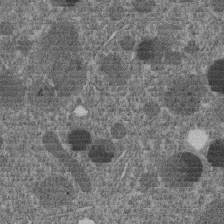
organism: C. elegans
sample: C. elegans embryo early stage